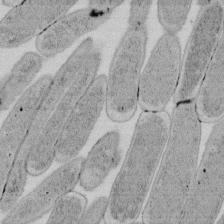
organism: E. coli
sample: Bacterial nucleoid